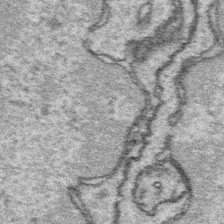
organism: Platynereis dumerilii